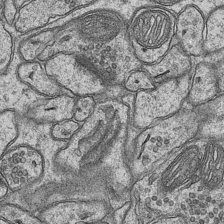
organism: Mouse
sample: CA1 Hippocampus